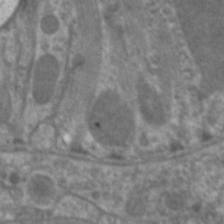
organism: C. elegans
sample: Pharynx